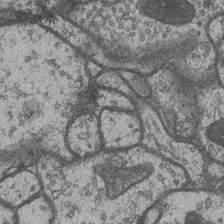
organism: Drosophila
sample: Optic medulla